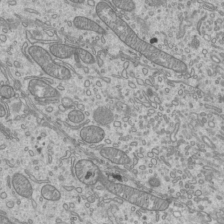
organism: Mouse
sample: Cilia; mouse epididymis